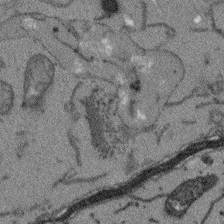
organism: Arabidopsis thaliana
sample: Root tip